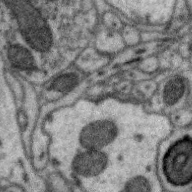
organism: Zebra finch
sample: Brain